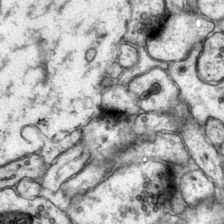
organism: Mouse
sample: Primary visual cortex